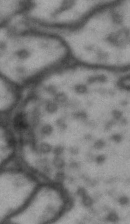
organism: Drosophila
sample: Brain